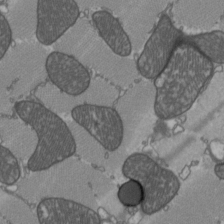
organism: C57BL Mouse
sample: Heart